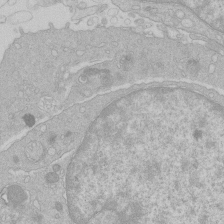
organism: Human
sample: Macrophage cells